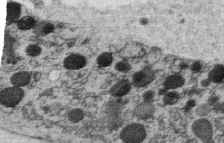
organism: C. elegans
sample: C. elegans oocyte; sperm cells